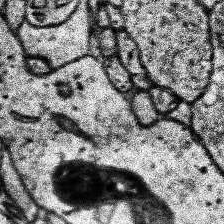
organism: Human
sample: Temporal Lobe